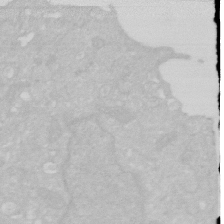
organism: Human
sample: HIV infected U937 cells